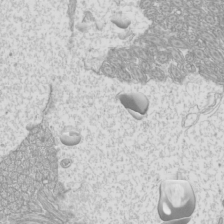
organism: Mouse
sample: Cilia; mouse epididymis